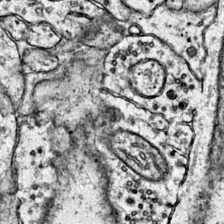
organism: Mouse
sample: Primary visual cortex